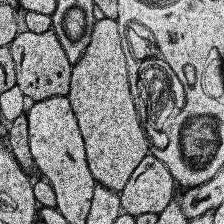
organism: Human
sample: Temporal Lobe